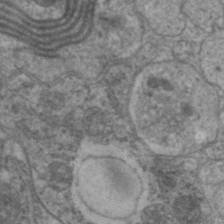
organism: C. elegans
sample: Pharynx